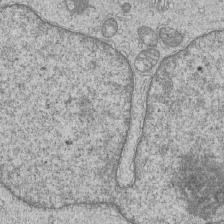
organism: Human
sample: MDA-MB-231 cells